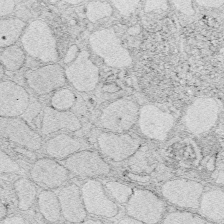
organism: Zebrafish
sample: Whole-Brain